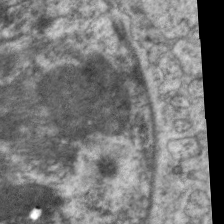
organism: C. elegans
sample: Pharynx